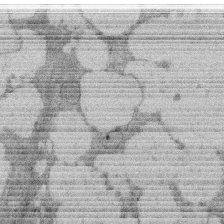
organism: Rat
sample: Salivary granule